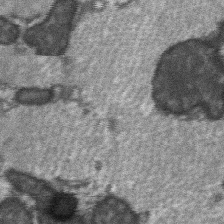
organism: C57BL Mouse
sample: Soleus